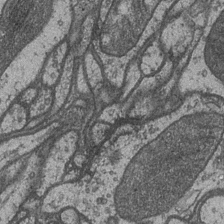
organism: Drosophila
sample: Optic medulla